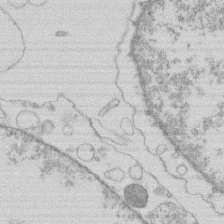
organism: Human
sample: Macrophage cells